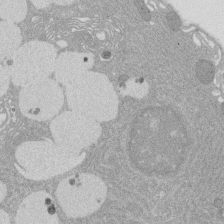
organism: Rat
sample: Salivary granule